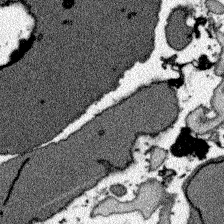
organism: Zebrafish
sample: Larval olfactory bulb